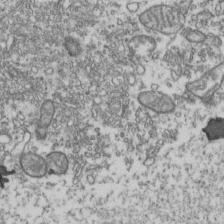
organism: Human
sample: Activated Jurkat CD4+ T cells